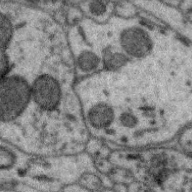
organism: Zebra finch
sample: Brain